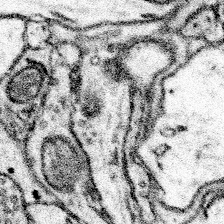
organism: Mouse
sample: Somatosensory cortex neuropil